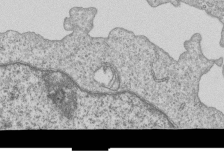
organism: Human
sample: MDA-MB-231 cells